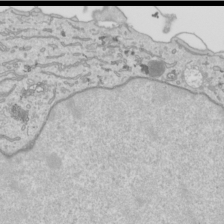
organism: Human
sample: Mitochondria in HCT116 cells